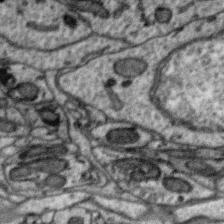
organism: Zebra finch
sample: Brain